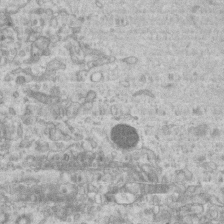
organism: Mouse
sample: Centriole in ependymal cells